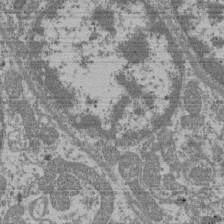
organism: Mouse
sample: Glomerulus